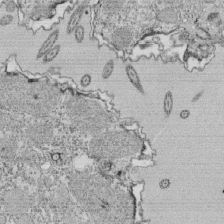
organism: Tetrahymena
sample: Cilia in tetrahymena